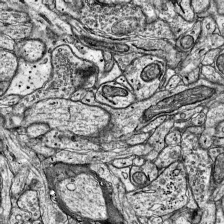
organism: Mouse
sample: Visual Cortex